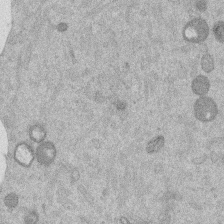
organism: Mouse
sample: Dividing mouse embryo 1 cell stage